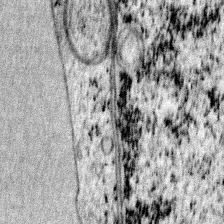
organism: Human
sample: HeLa cells